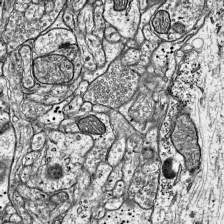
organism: Mouse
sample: Visual Cortex